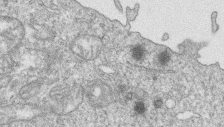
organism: Human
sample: HeLa cell HIV synapse